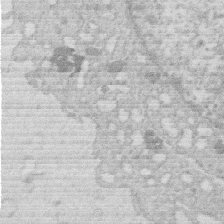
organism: Human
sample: Macrophage cells